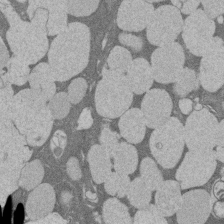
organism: Rat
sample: Salivary granule